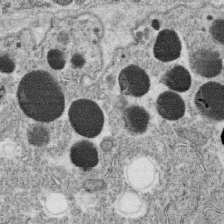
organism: C. elegans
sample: C. elegans oocyte; sperm cells